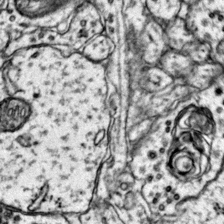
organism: Mouse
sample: Primary visual cortex